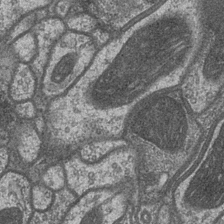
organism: Drosophila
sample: Optic medulla